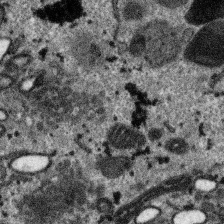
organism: Human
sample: Lung epithelial cells infected with SARS-CoV-2